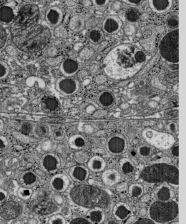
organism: C57BL Mouse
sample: Pancreatic islet